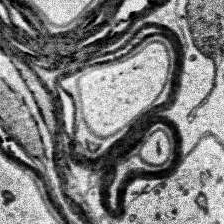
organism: Human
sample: Temporal Lobe